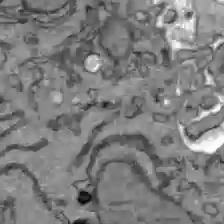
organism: C57BL Mouse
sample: Liver